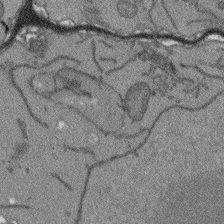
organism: Arabidopsis thaliana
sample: Root tip